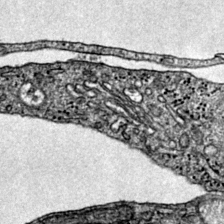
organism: Mouse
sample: Primary visual cortex